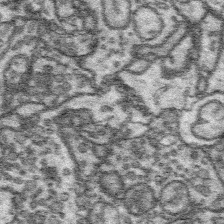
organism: Platynereis dumerilii